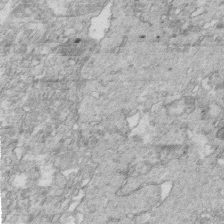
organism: Mouse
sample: Multiciliated cells